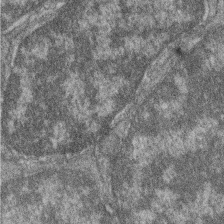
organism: Zebrafish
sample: Cilia; retinal pigment epithelium